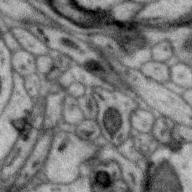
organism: Zebra finch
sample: Brain